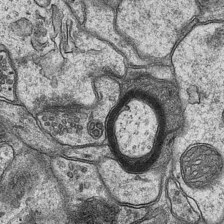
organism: Mouse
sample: CA1 Hippocampus